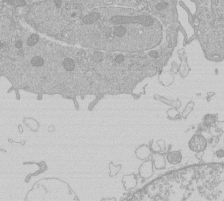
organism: Human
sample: Macrophage cells